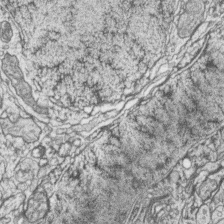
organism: Zebrafish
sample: synaptic ribbons in rod cells and cone cells